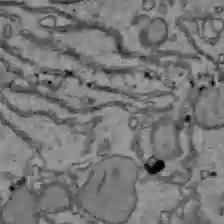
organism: C57BL Mouse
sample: Liver